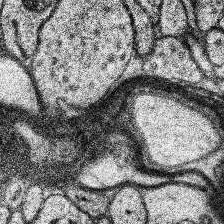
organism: Human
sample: Temporal Lobe